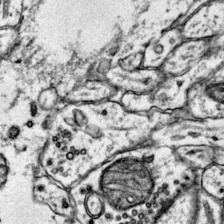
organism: Mouse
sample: Primary visual cortex